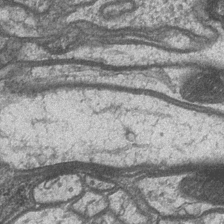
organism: Drosophila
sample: Optic medulla